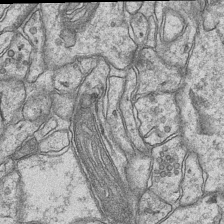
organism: Mouse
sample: CA1 Hippocampus